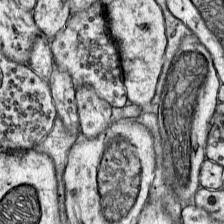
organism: Mouse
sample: Primary visual cortex